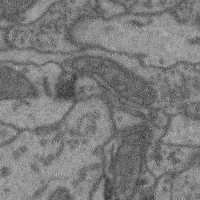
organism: Mouse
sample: Cerebral cortex